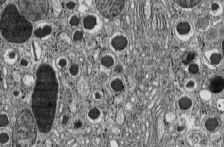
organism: C57BL Mouse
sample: Pancreatic islet